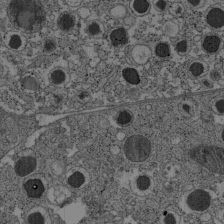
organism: C57BL Mouse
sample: Pancreatic islet